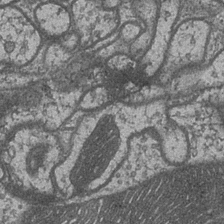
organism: Drosophila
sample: Optic medulla